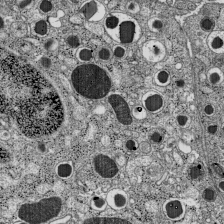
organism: C57BL Mouse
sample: Pancreatic islet